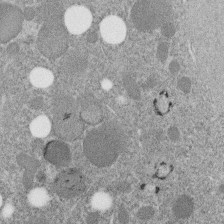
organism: C. elegans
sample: C. elegans embryo early stage